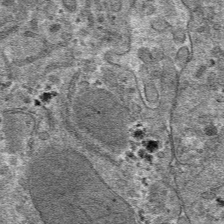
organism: Mouse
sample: Mouse hepatocytes